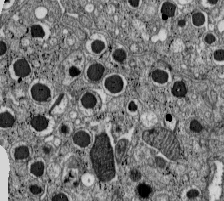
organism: C57BL Mouse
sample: Pancreatic islet